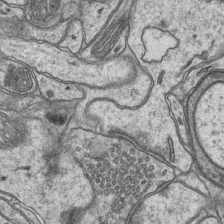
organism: Mouse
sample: CA1 Hippocampus